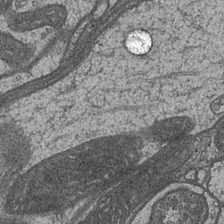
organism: Drosophila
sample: Optic medulla